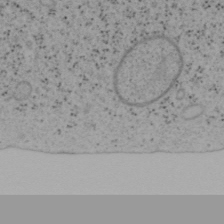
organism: Human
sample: HeLa cells